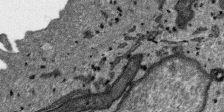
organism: Human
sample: Lung epithelial cells, uninfected (mock) control